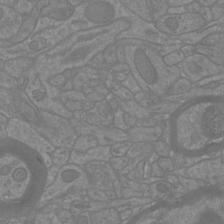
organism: Mouse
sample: Cortical neurons